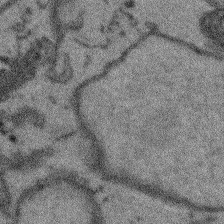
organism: Arabidopsis thaliana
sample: Root tip